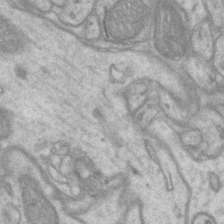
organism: Mouse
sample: CA1 Hippocampus